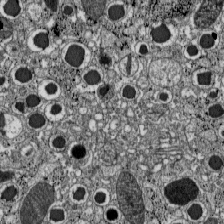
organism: C57BL Mouse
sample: Pancreatic islet